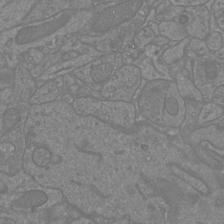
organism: Mouse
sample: Cortical neurons